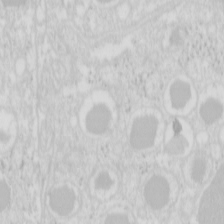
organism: Mouse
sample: Pancreas